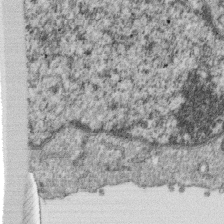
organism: African green monkey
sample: Vero E6 cells infected with SARS-CoV-2